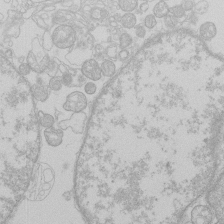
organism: Human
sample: Macrophage cells